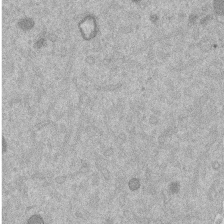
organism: Mouse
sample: Dividing mouse embryo 1 cell stage